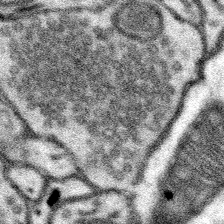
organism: Mouse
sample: Somatosensory cortex neuropil